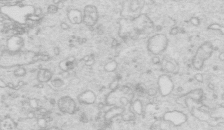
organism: Mouse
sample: Multiciliated cells